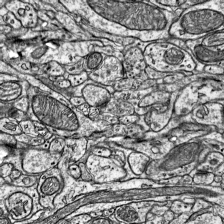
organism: Mouse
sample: Visual Cortex